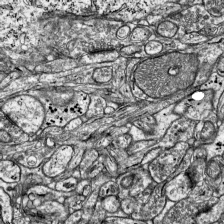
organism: Mouse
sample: Visual Cortex